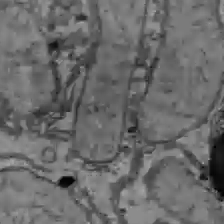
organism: C57BL Mouse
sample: Liver